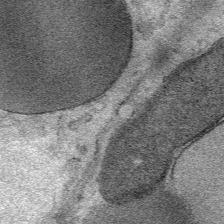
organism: Mouse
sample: Mouse Salivary gland